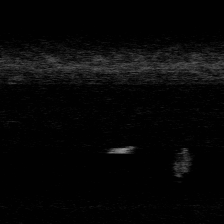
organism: Human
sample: HeLa cells